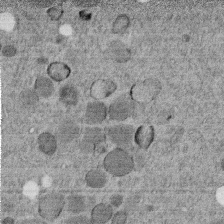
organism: C. elegans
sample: C. elegans embryo early stage